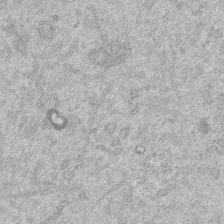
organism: Mouse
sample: Dividing mouse embryo 1 cell stage